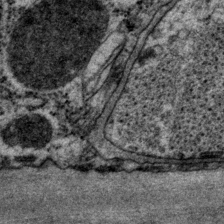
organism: P. pacificus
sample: Pharynx